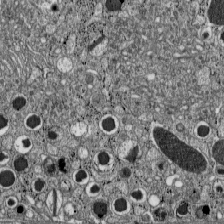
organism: C57BL Mouse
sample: Pancreatic islet